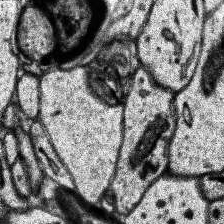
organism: Human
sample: Temporal Lobe